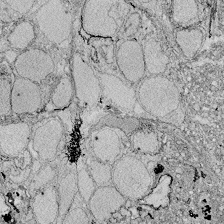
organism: Zebrafish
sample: Whole-Brain